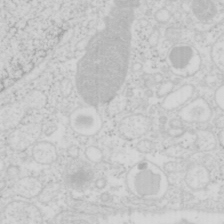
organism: Mouse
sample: Pancreas